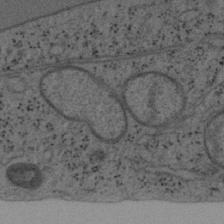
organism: Human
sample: HeLa cells